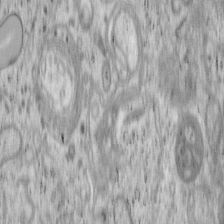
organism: Human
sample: HeLa cells